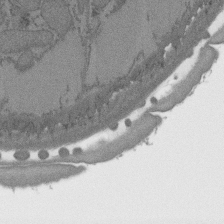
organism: C. elegans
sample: AFD neurons C. elegans